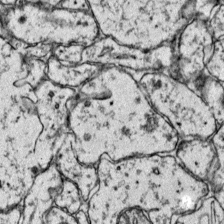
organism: Mouse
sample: Primary visual cortex